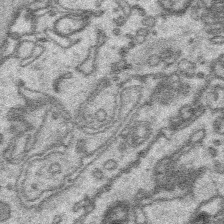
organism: Platynereis dumerilii